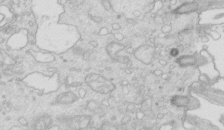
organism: Mouse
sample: Multiciliated cells